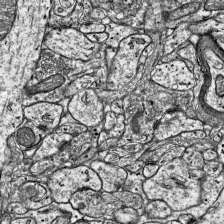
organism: Mouse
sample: Visual Cortex